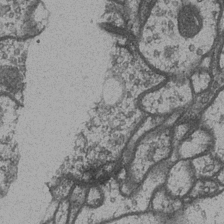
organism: Drosophila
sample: Optic medulla